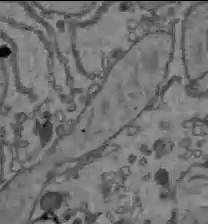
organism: C57BL Mouse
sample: Liver